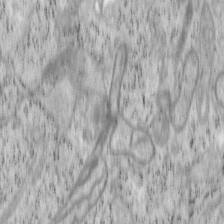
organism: Human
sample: HeLa cells